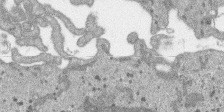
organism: Human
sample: Lung epithelial cells infected with SARS-CoV-2